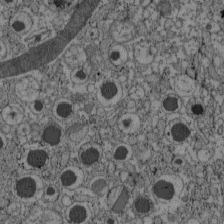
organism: C57BL Mouse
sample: Pancreatic islet